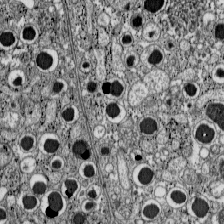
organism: C57BL Mouse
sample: Pancreatic islet